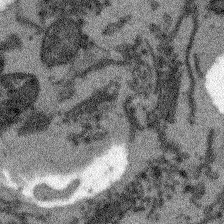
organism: Arabidopsis thaliana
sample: Root tip